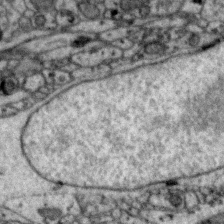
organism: Zebra finch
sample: Brain